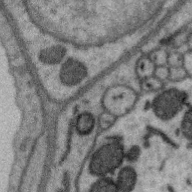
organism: Zebra finch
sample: Brain